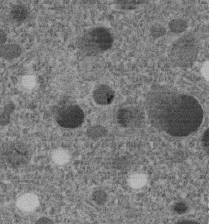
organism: C. elegans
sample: C. elegans embryo early stage